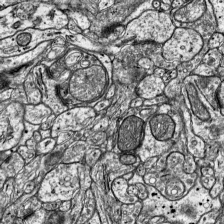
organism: Mouse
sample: Visual Cortex